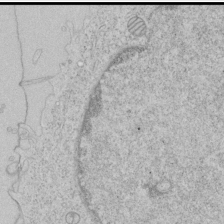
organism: Human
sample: Mitochondria in HCT116 cells